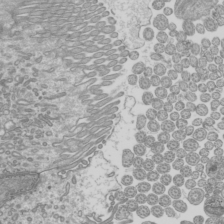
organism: Mouse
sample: Cilia; mouse epididymis